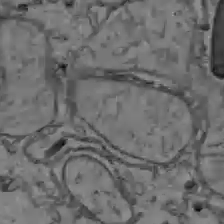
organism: C57BL Mouse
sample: Liver